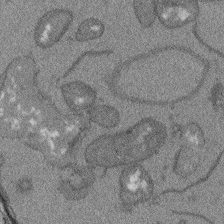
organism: Arabidopsis thaliana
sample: Root tip